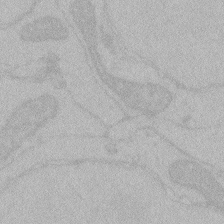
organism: Zebrafish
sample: Macrophage infected with Toxoplasma gondii